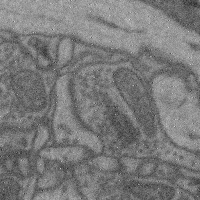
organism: Mouse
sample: Cerebral cortex